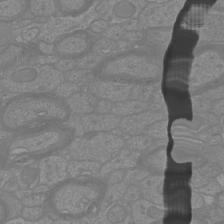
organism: Mouse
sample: Cortical neurons